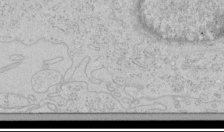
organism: Human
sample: Mitochondria in HCT116 cells